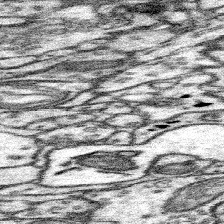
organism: Mouse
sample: Somatosensory cortex neuropil